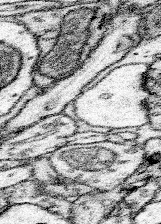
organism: Mouse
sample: Somatosensory cortex neuropil